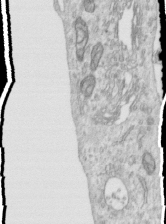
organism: Human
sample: Centriole in RPE cells